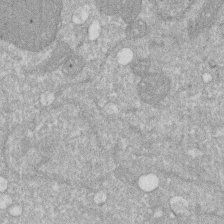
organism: Human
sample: HIV infected U937 cells